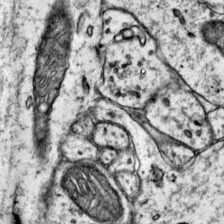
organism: Mouse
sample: Primary visual cortex